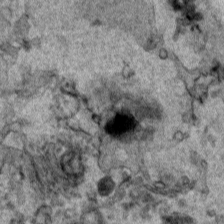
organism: Human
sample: Mitochondria in HCT116 cells